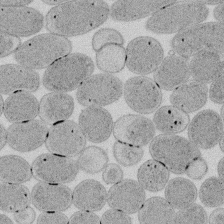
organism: E. coli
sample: Bacterial nucleoid